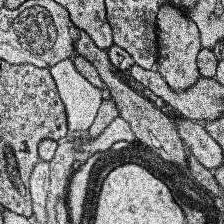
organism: Human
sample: Temporal Lobe